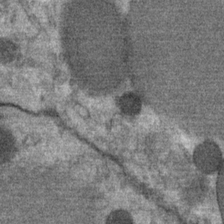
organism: Mouse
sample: Mouse Salivary gland